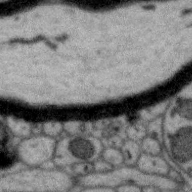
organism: Zebra finch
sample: Brain